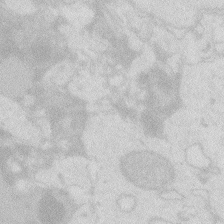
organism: Zebrafish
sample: Macrophage